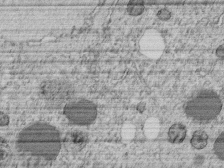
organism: C. elegans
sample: C. elegans embryo early stage